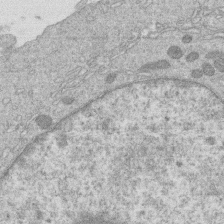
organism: Human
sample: Macrophage cells